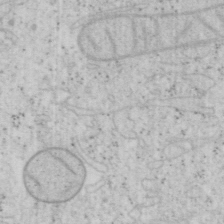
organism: Human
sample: HeLa cells